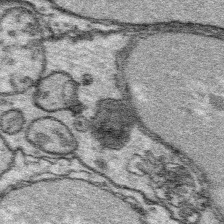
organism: Platynereis dumerilii